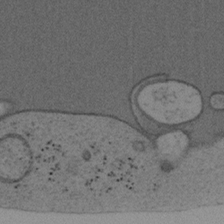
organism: Human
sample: HeLa cells